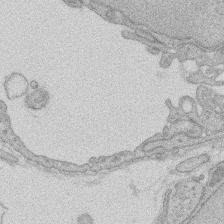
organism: Rat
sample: Salivary granule